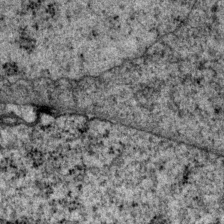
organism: P. pacificus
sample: Pharynx